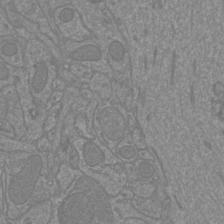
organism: Mouse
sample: Cortical neurons